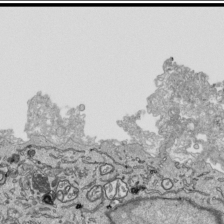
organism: Human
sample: Mitochondria in HCT116 cells